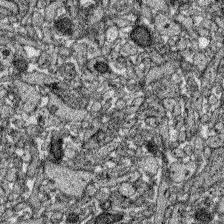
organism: Zebrafish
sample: Larval olfactory bulb